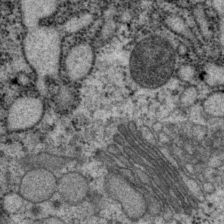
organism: P. pacificus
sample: Pharynx